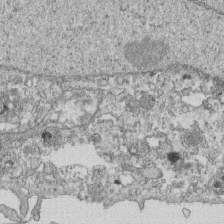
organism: Human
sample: HeLa cell HIV synapse